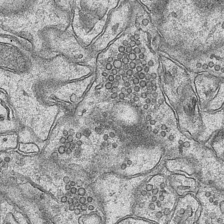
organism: Mouse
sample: CA1 Hippocampus